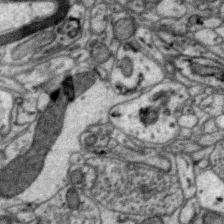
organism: Zebra finch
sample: Brain